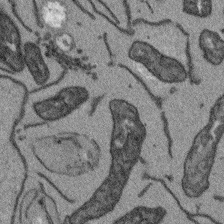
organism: Arabidopsis thaliana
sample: Root tip